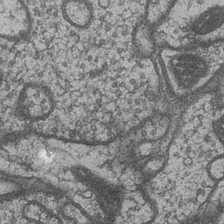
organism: Drosophila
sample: Optic medulla